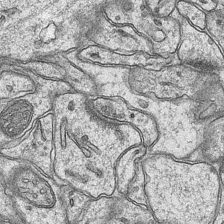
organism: Mouse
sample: CA1 Hippocampus